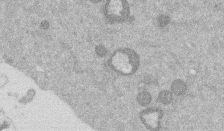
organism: Mouse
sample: Dividing mouse embryo 1 cell stage